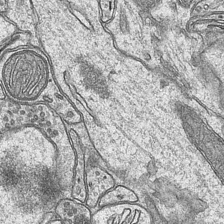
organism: Mouse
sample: CA1 Hippocampus